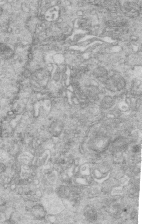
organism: Mouse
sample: Multiciliated cells